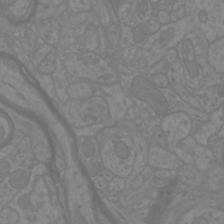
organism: Mouse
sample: Cortical neurons